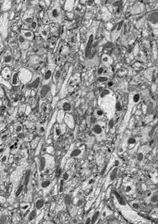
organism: Drosophila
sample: Optic lobe